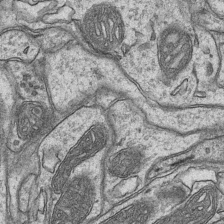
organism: Mouse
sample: CA1 Hippocampus